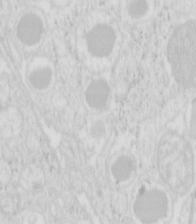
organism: Mouse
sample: Pancreas